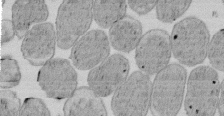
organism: E. coli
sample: Bacterial nucleoid